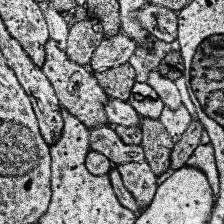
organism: Human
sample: Temporal Lobe